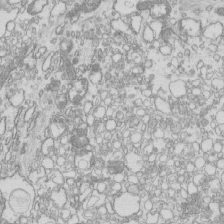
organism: Mouse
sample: Macrophages